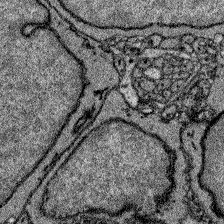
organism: Zebrafish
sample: Larval olfactory bulb